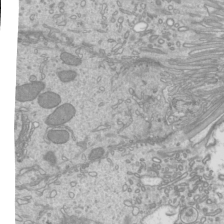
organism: Mouse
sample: Cilia; mouse epididymis